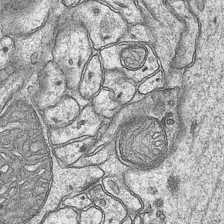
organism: Mouse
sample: CA1 Hippocampus